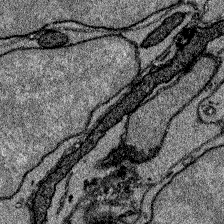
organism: Zebrafish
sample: Larval olfactory bulb